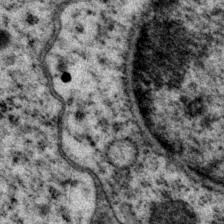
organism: P. pacificus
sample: Pharynx